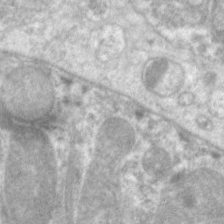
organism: C. elegans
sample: Pharynx